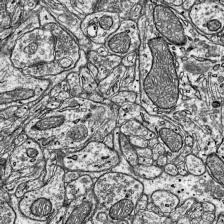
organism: Mouse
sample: Visual Cortex